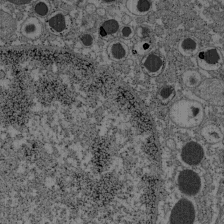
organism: C57BL Mouse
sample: Pancreatic islet